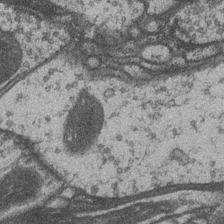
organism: Drosophila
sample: Optic medulla